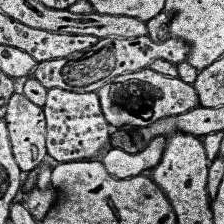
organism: Human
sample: Temporal Lobe